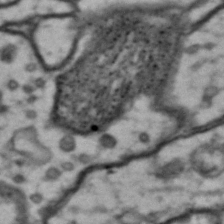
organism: Drosophila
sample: Brain